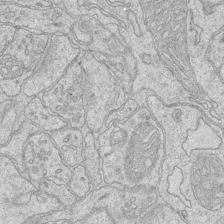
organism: Mouse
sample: CA1 Hippocampus